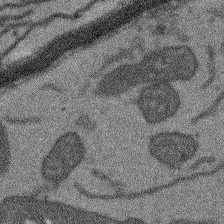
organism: Arabidopsis thaliana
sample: Root tip